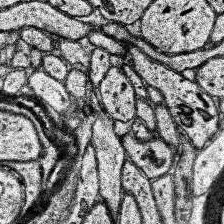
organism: Human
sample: Temporal Lobe